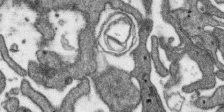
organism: Human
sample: Lung epithelial cells, uninfected (mock) control